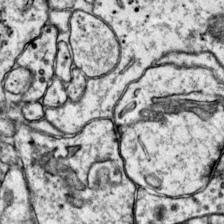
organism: Mouse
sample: Primary visual cortex